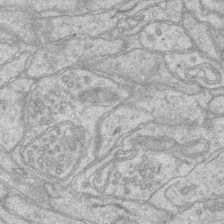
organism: Mouse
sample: CA1 Hippocampus